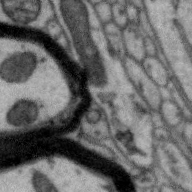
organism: Zebra finch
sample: Brain